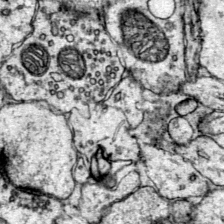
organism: Mouse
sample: Primary visual cortex